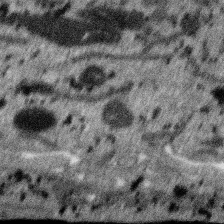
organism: Human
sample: Lung epithelial cells infected with SARS-CoV-2